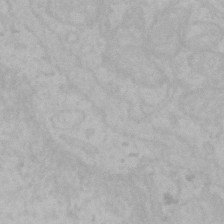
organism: Mouse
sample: Choroid plexus